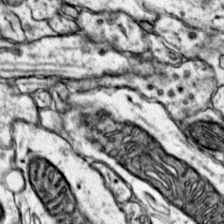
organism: Mouse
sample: Primary visual cortex